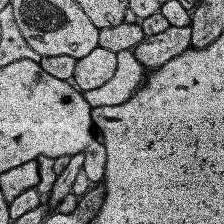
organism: Human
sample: Temporal Lobe